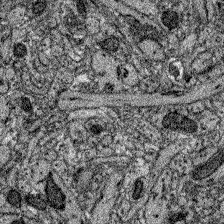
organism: Zebrafish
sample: Larval olfactory bulb